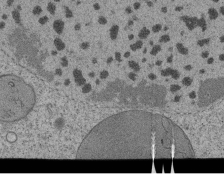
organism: Tetrahymena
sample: Cilia in tetrahymena